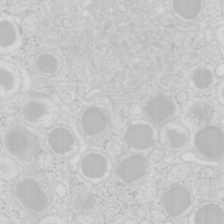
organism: Mouse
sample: Pancreas